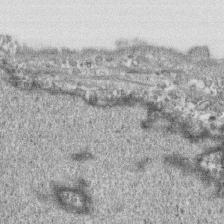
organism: Human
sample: CRL-1474